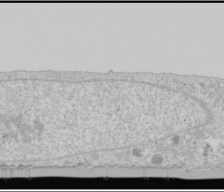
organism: Human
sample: Mitochondria in U2OS cells